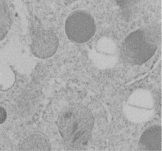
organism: C. elegans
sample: C. elegans embryo early stage